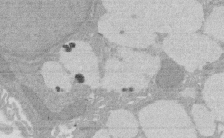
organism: Rat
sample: Salivary granule